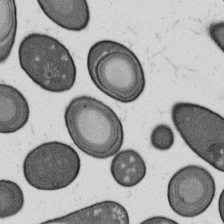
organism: B. subtilis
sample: Bacterial spore